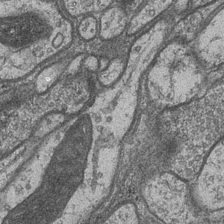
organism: Drosophila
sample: Optic medulla